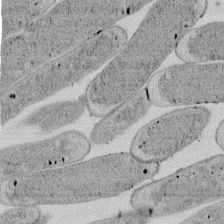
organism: E. coli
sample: Bacterial nucleoid